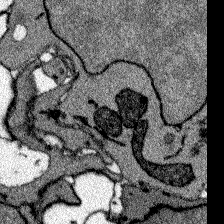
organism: Zebrafish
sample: Larval olfactory bulb